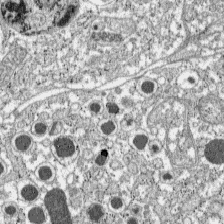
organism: C57BL Mouse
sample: Pancreatic islet